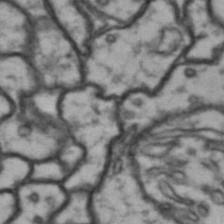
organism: Drosophila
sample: Brain